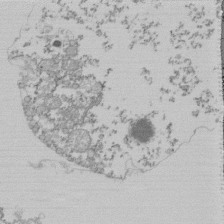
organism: Mouse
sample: Activated Pmel transgenic CD8+ T Cells